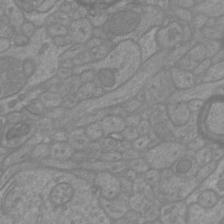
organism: Mouse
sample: Cortical neurons